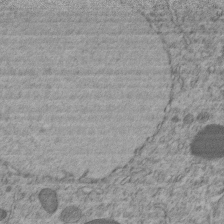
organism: C. elegans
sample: C. elegans embryo early stage